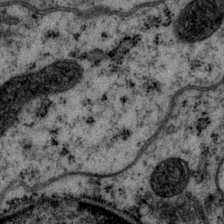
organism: P. pacificus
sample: Pharynx